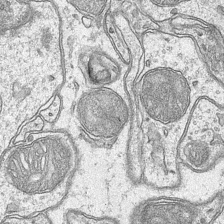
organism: Mouse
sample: CA1 Hippocampus